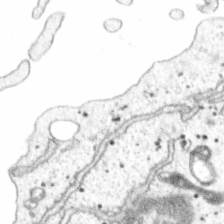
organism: Human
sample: HeLa cells